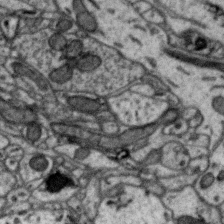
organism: Zebra finch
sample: Brain